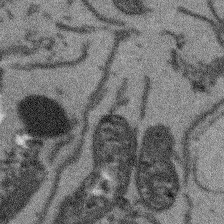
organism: Arabidopsis thaliana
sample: Root tip